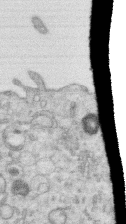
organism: Human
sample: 1205lu cells